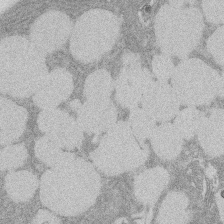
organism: Rat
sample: Salivary granule